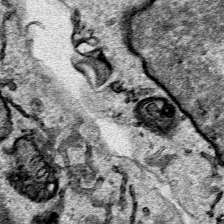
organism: Human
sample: Mitochondria in HCT116 cells